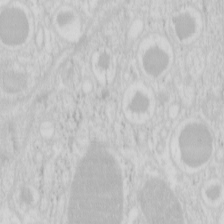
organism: Mouse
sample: Pancreas